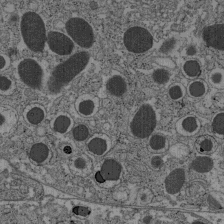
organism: C57BL Mouse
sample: Pancreatic islet